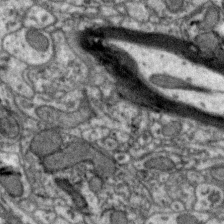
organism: Zebra finch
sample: Brain